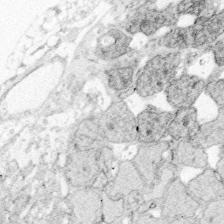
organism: Zebrafish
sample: Whole-Brain